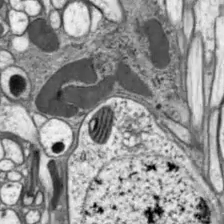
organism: Drosophila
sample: Optic lobe